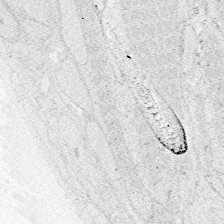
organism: Zebrafish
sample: Whole-Brain